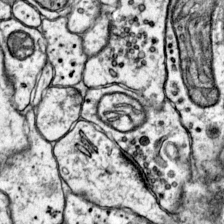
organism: Mouse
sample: Primary visual cortex